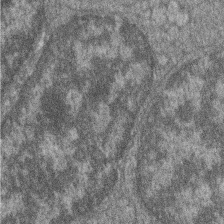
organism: Zebrafish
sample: Cilia; retinal pigment epithelium